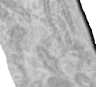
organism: Human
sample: Centriole in RPE cells